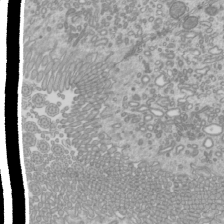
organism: Mouse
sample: Cilia; mouse epididymis